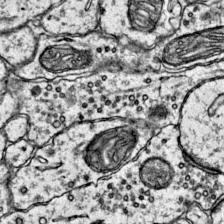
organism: Mouse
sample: Primary visual cortex